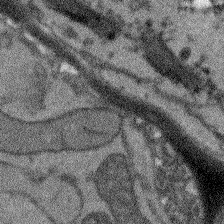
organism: Arabidopsis thaliana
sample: Root tip